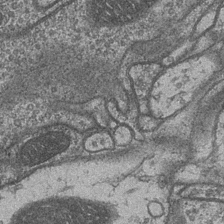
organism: Drosophila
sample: Optic medulla